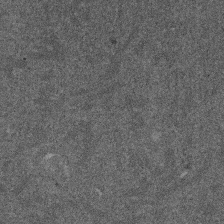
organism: Mouse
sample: Dividing mouse embryo 1 cell stage